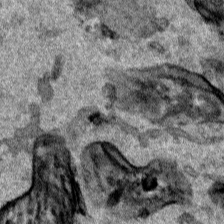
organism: Human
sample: Mitochondria in HCT116 cells